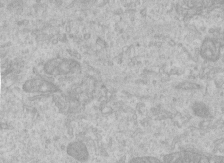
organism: Human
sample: Centriole in RPE cells